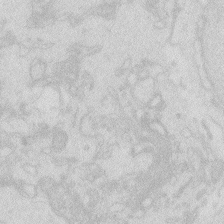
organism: Zebrafish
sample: Macrophage